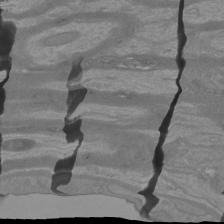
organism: Mouse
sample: Cortical neurons